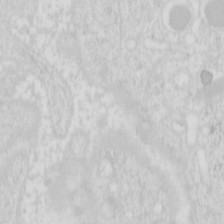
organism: Mouse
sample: Pancreas